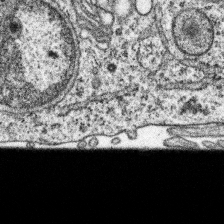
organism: Human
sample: HeLa cells